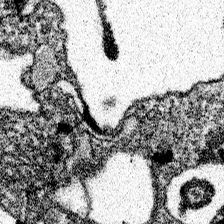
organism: Spongilla lacustris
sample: Neuroid cell